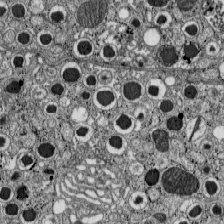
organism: C57BL Mouse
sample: Pancreatic islet